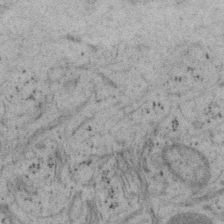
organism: Human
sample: HeLa cells